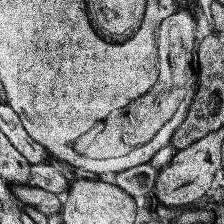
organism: Human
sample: Temporal Lobe